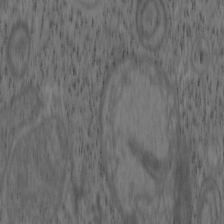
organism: Human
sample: HeLa cells